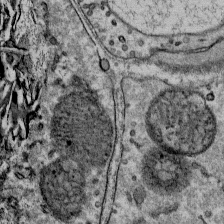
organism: Mouse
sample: Mouse Salivary gland